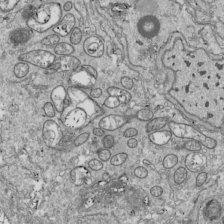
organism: Drosophila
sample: Cell division; meiosis; drosophila spermatocytes